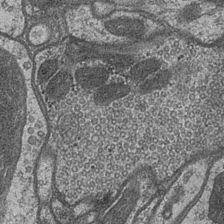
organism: Drosophila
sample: Optic medulla